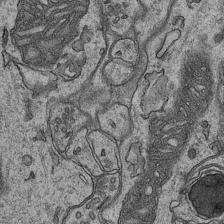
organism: Mouse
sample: CA1 Hippocampus